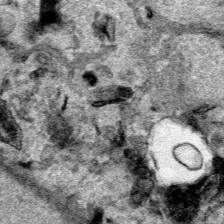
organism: Human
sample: Mitochondria in HCT116 cells